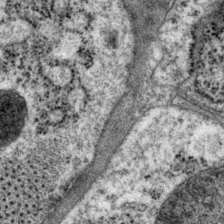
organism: P. pacificus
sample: Pharynx